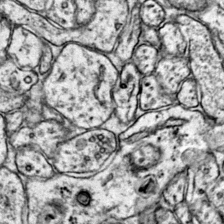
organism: Mouse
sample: Primary visual cortex